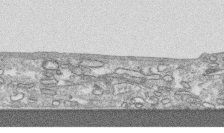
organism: Human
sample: CRL-1474